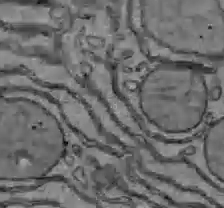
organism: C57BL Mouse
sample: Liver